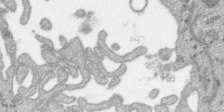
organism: Human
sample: Lung epithelial cells infected with SARS-CoV-2